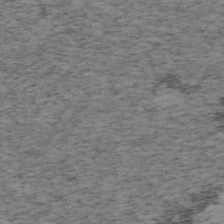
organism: Mouse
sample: OT-I killer T cells with ID8 ovarian cancer cells